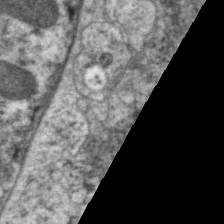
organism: C. elegans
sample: Pharynx